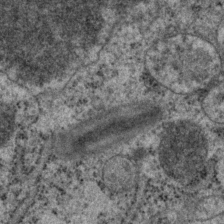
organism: P. pacificus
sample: Pharynx